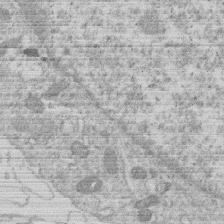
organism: Human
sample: Macrophage cells